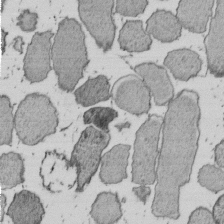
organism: E. coli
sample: Bacterial nucleoid